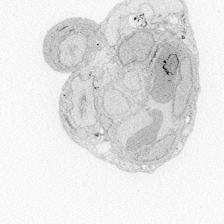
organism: Zebrafish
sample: Whole-Brain